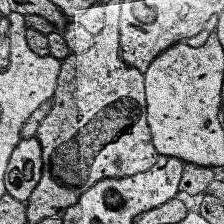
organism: Human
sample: Temporal Lobe